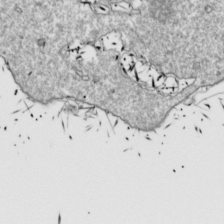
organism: Drosophila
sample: Cell division; meiosis; drosophila spermatocytes